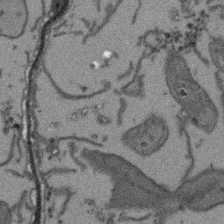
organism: Arabidopsis thaliana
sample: Root tip